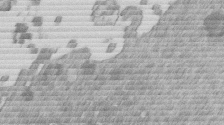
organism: Mouse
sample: Dividing mouse embryo 1 cell stage